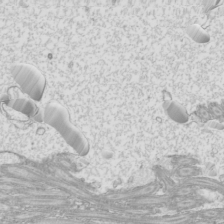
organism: Mouse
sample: Cilia; mouse epididymis